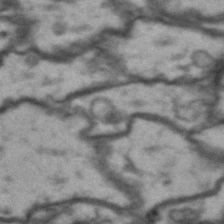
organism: Drosophila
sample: Brain